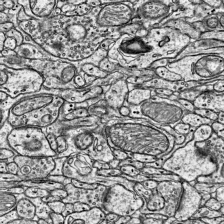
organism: Mouse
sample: Visual Cortex